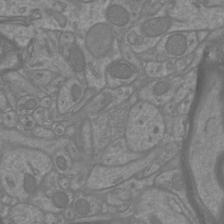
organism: Mouse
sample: Cortical neurons